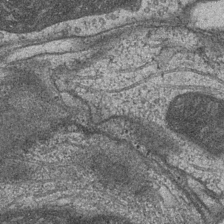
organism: Drosophila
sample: Optic medulla